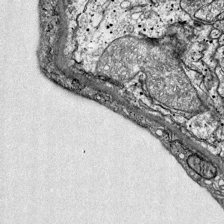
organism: Mouse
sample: Visual Cortex